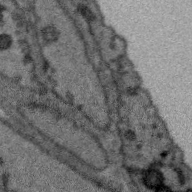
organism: Zebra finch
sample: Brain